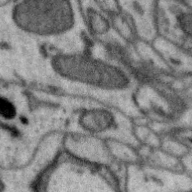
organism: Zebra finch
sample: Brain